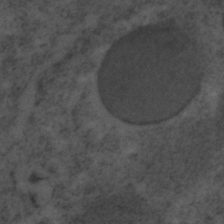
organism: C. elegans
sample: C. elegans embryo